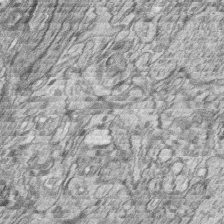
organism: Zebrafish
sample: synaptic ribbons in rod cells and cone cells